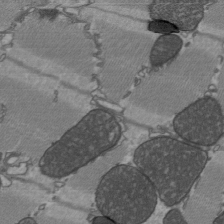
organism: C57BL Mouse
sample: Heart